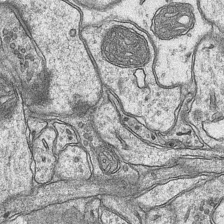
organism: Mouse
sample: CA1 Hippocampus